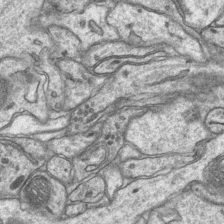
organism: Mouse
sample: CA1 Hippocampus